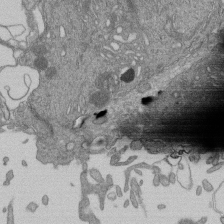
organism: Human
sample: Retinal organoid Rod and Cone cells